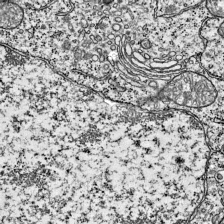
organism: Mouse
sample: Visual Cortex